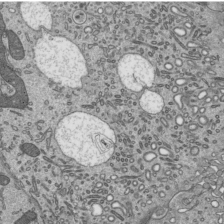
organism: Mouse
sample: Mouse epididymis efferent ductule cilia